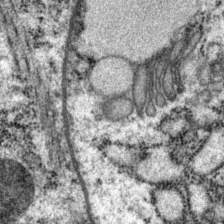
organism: P. pacificus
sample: Pharynx